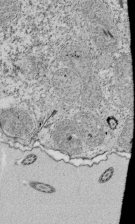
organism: Tetrahymena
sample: Cilia in tetrahymena